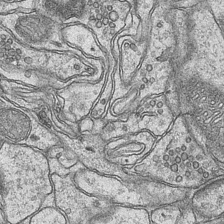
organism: Mouse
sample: CA1 Hippocampus